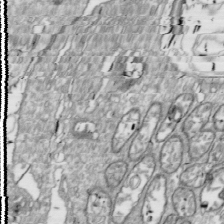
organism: Drosophila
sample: Cell division; meiosis; drosophila spermatocytes